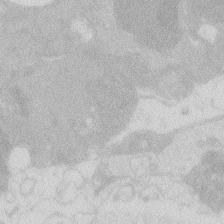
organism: Zebrafish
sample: Macrophage